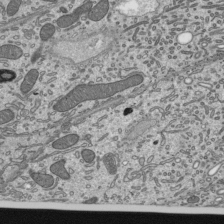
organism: Mouse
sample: Mouse epididymis efferent ductule cilia